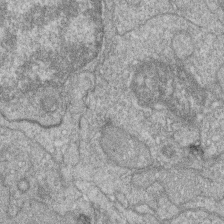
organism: Zebrafish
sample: Cilia; retinal pigment epithelium